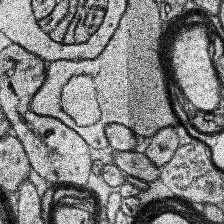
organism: Human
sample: Temporal Lobe